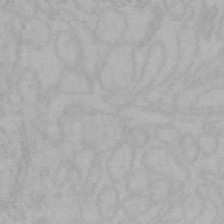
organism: Mouse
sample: Choroid plexus